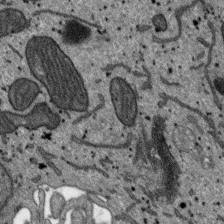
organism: Human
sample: Lung epithelial cells, uninfected (mock) control